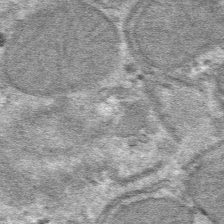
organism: Mouse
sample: Mouse hepatocytes